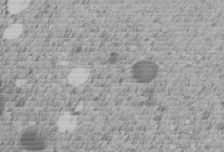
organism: C. elegans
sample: C. elegans embryo early stage